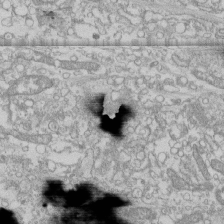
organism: Human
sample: CRL-1474